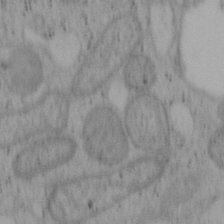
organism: Mouse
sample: OT-I killer T cells with ID8 ovarian cancer cells